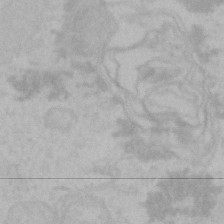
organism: Mouse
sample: Choroid plexus